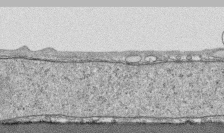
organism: Human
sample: CRL-1474